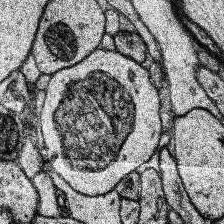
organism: Human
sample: Temporal Lobe